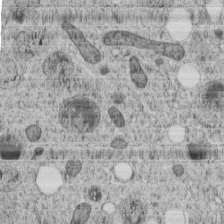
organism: C. elegans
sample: C. elegans embryo early stage